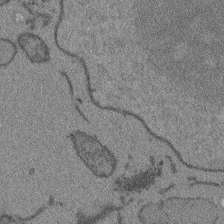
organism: Arabidopsis thaliana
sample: Root tip